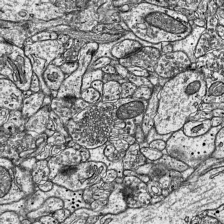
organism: Mouse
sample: Visual Cortex